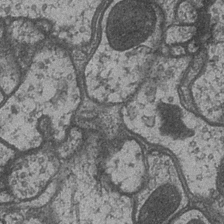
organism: Drosophila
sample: Optic medulla